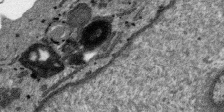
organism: Human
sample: Lung epithelial cells, uninfected (mock) control